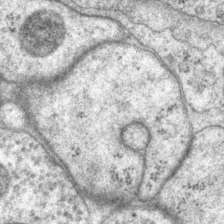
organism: P. pacificus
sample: Pharynx